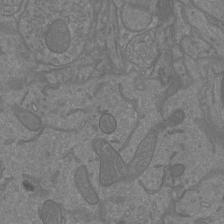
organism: Mouse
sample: Cortical neurons